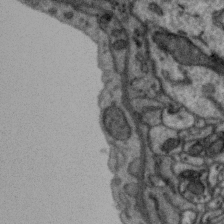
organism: Zebra finch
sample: Brain